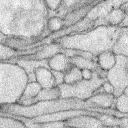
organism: Rabbit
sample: Retina